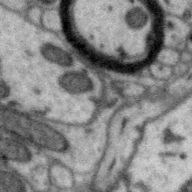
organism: Zebra finch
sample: Brain